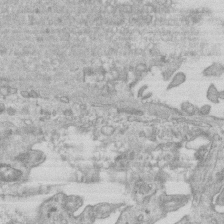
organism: Mouse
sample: Centriole in ependymal cells